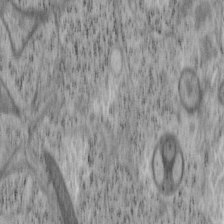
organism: Human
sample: HeLa cells